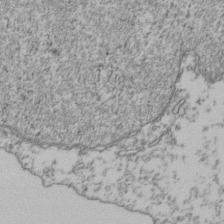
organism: Human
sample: Activated Jurkat CD4+ T cells